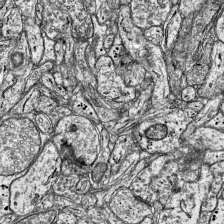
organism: Mouse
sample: Visual Cortex